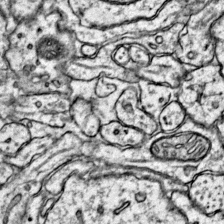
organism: Mouse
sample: Primary visual cortex